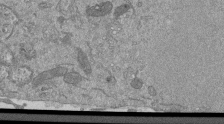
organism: Mouse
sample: ED-1 cell nuclei; centrioles